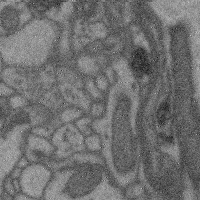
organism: Mouse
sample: Cerebral cortex